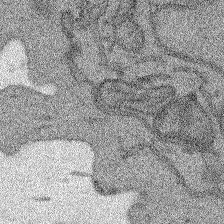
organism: Human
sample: HeLa cells